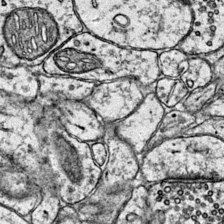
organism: Mouse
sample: Primary visual cortex